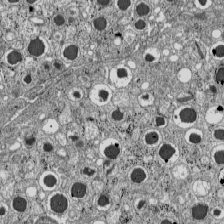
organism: C57BL Mouse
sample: Pancreatic islet